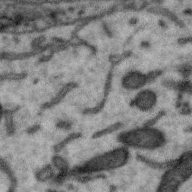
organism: Zebra finch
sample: Brain